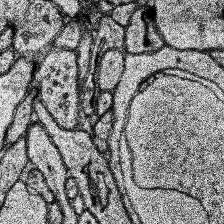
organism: Human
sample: Temporal Lobe